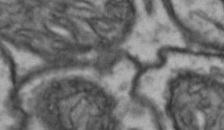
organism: Drosophila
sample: Brain